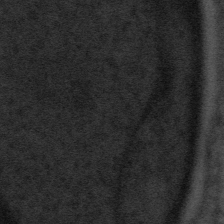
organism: Tuwongella immobilis